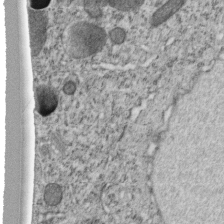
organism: C. elegans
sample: C. elegans embryo early stage